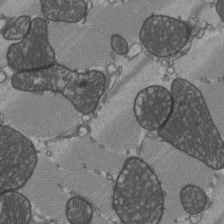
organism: C57BL Mouse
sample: Heart